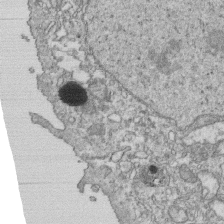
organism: Human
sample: HeLa cell HIV synapse